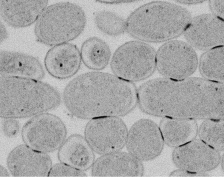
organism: E. coli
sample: Bacterial nucleoid